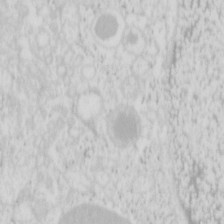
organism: Mouse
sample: Pancreas